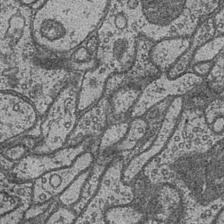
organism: Drosophila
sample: Optic medulla